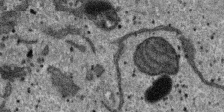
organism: Human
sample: Lung epithelial cells, uninfected (mock) control